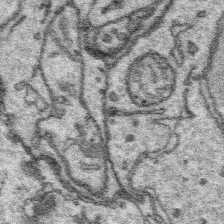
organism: Platynereis dumerilii